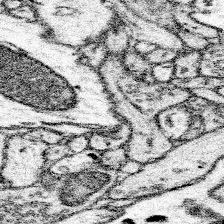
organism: Mouse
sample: Somatosensory cortex neuropil